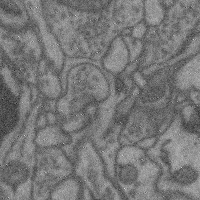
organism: Mouse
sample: Cerebral cortex